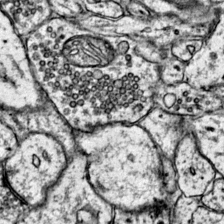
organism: Mouse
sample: Primary visual cortex